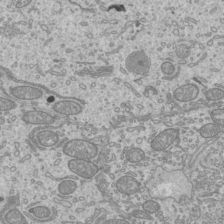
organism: Mouse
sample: Cilia; mouse epididymis